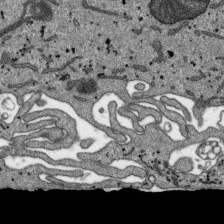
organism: Human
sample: Lung epithelial cells, uninfected (mock) control